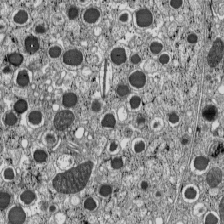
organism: C57BL Mouse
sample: Pancreatic islet